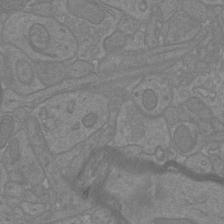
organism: Mouse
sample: Cortical neurons